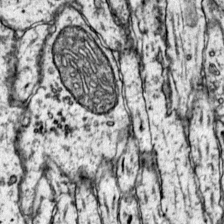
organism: Mouse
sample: Primary visual cortex